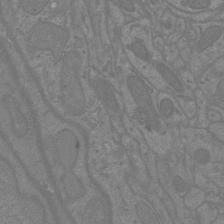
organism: Mouse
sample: Cortical neurons